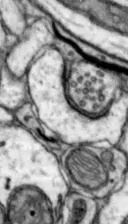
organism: Mouse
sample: Nucleus accumbens